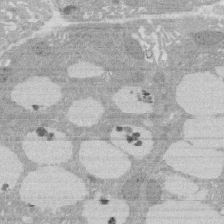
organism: Rat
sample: Salivary granule